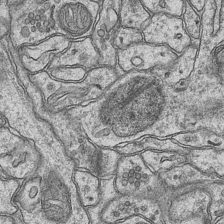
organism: Mouse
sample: CA1 Hippocampus